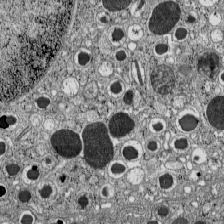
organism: C57BL Mouse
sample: Pancreatic islet